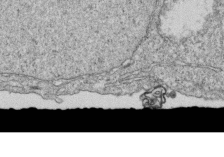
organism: Human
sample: HeLa cell HIV synapse